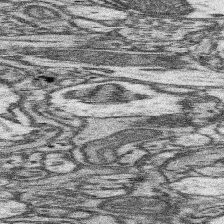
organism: Mouse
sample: Somatosensory cortex neuropil